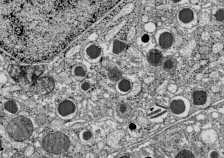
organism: C57BL Mouse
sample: Pancreatic islet